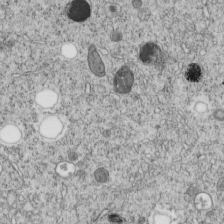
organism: C. elegans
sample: C. elegans embryo early stage